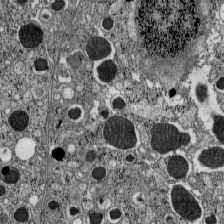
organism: C57BL Mouse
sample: Pancreatic islet